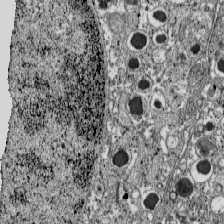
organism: C57BL Mouse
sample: Pancreatic islet